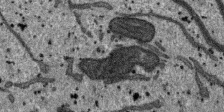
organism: Human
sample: Lung epithelial cells, uninfected (mock) control